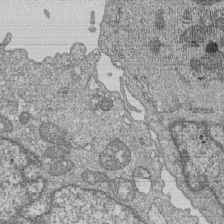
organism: Human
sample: MDA-MB-231 cells